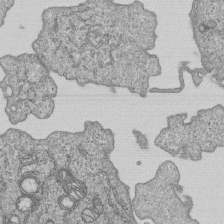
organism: Human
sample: MDA-MB-231 cells